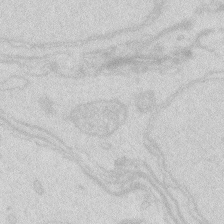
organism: Zebrafish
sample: Macrophage